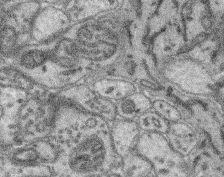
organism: Mouse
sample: Retina